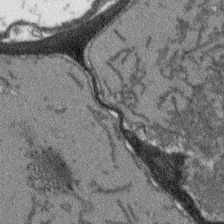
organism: Arabidopsis thaliana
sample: Root tip